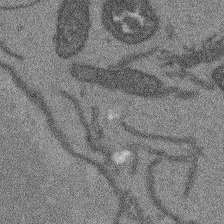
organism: Arabidopsis thaliana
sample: Root tip